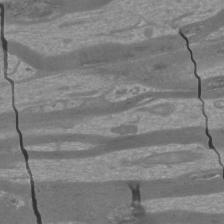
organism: Mouse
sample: Cortical neurons